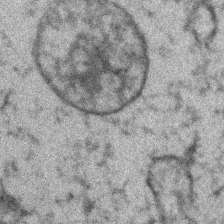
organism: Zebrafish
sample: Zebrafish embryo